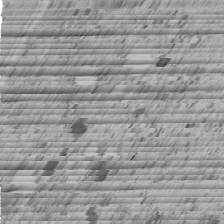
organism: C. elegans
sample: C. elegans embryo early stage